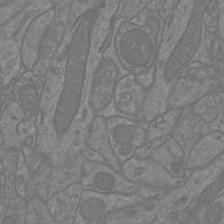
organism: Mouse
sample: Cortical neurons